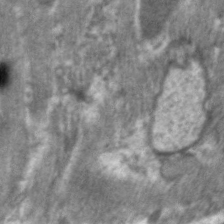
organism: C. elegans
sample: Pharynx